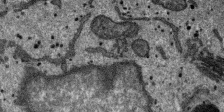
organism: Human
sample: Lung epithelial cells, uninfected (mock) control